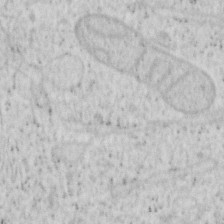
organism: Human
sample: HeLa cells